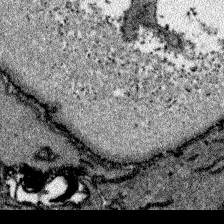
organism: Zebrafish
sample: Larval olfactory bulb